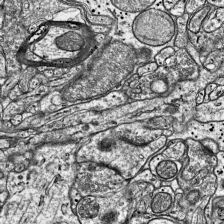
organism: Mouse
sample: Visual Cortex